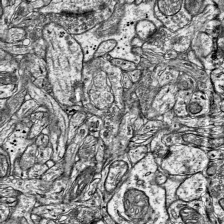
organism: Mouse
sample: Visual Cortex